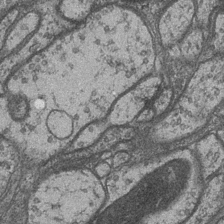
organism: Drosophila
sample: Optic medulla